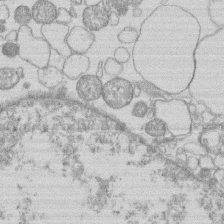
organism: Human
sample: Macrophage cells